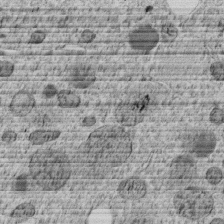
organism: C. elegans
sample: C. elegans embryo early stage